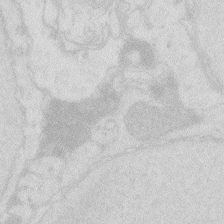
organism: Zebrafish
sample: Macrophage